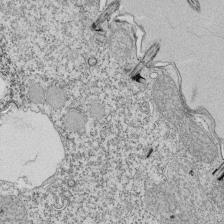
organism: Tetrahymena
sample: Cilia in tetrahymena